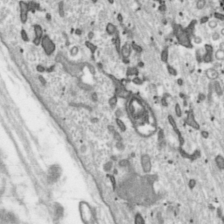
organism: Toxoplasma gondii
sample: Parasites in a vacuole inside a host cell